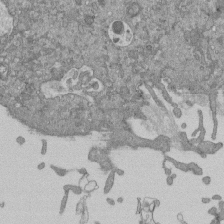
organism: Mouse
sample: ED-1 cell nuclei; centrioles